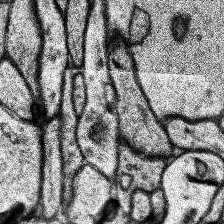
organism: Human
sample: Temporal Lobe